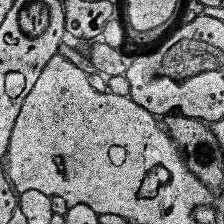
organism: Human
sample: Temporal Lobe